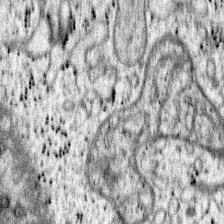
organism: Human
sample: HeLa cells